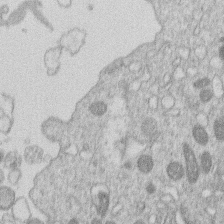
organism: Human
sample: Macrophage cells